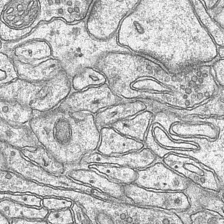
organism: Mouse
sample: CA1 Hippocampus